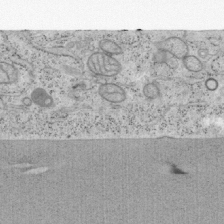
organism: Human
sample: HeLa cells